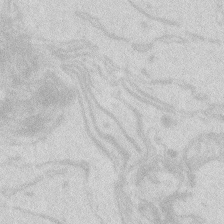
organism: Zebrafish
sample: Macrophage